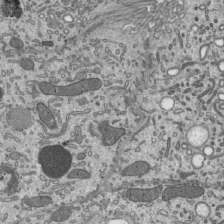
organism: Mouse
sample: Mouse epididymis efferent ductule cilia